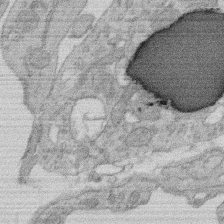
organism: Rat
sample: Salivary granule